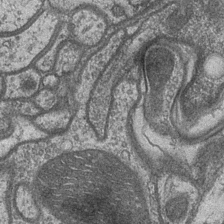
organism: Drosophila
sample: Optic medulla